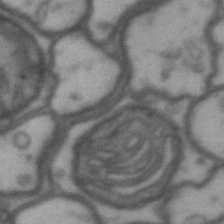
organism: Drosophila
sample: Brain